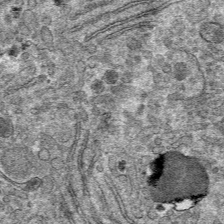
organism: Mouse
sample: Mouse hepatocytes